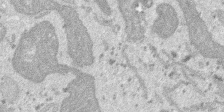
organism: Human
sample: Lung epithelial cells infected with SARS-CoV-2